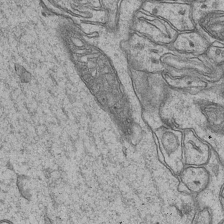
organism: Mouse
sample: CA1 Hippocampus